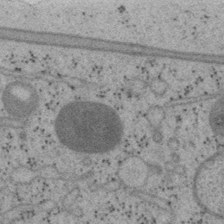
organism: Human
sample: HeLa cells